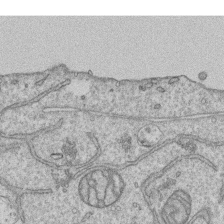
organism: Human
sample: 1205lu cells